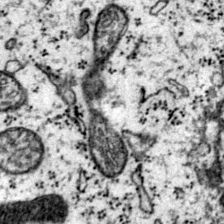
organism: Mouse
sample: Primary visual cortex